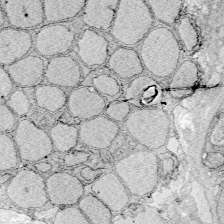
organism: Zebrafish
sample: Whole-Brain